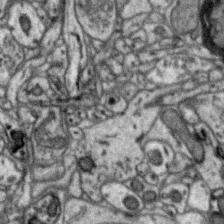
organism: Zebra finch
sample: Brain